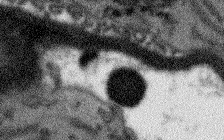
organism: Arabidopsis thaliana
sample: Root tip